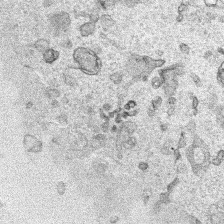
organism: Human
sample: Mitochondria in HCT116 cells